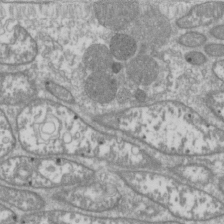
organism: Drosophila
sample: Cell division; meiosis; drosophila spermatocytes